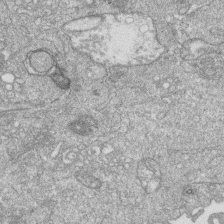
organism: Human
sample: HeLa cell HIV synapse